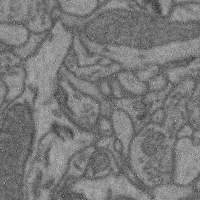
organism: Mouse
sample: Cerebral cortex